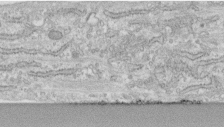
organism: Human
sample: Centriole in fibroblast cells